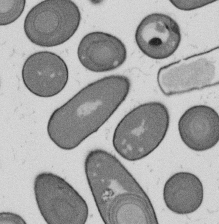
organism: B. subtilis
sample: Bacterial spore